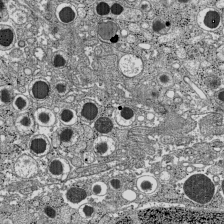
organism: C57BL Mouse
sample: Pancreatic islet